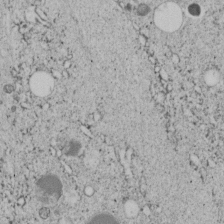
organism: C. elegans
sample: C. elegans embryo early stage